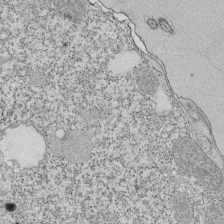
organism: Tetrahymena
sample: Cilia in tetrahymena